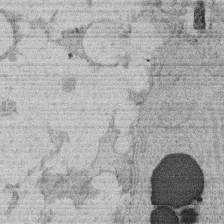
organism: Rat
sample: Salivary granule